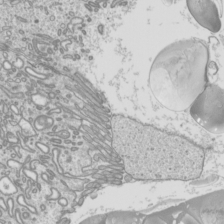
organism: Mouse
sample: Cilia; mouse epididymis